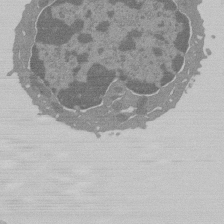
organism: Mouse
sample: Activated Pmel transgenic CD8+ T Cells